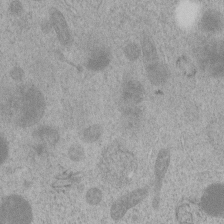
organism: C. elegans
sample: C. elegans embryo early stage